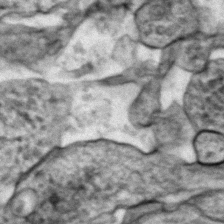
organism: Zebrafish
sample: Zebrafish embryo